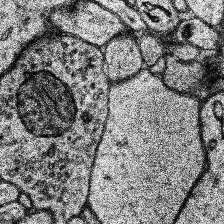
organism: Human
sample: Temporal Lobe